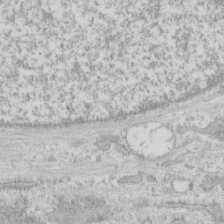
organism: Human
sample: CRL-1474